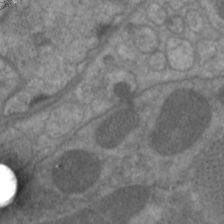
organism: C. elegans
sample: Pharynx